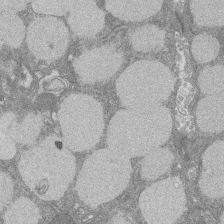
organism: Rat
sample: Salivary granule